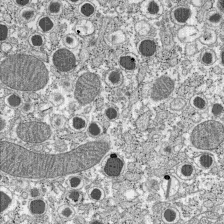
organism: C57BL Mouse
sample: Pancreatic islet